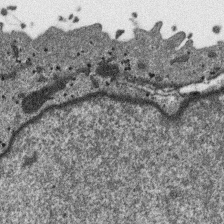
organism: Human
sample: Lung epithelial cells infected with SARS-CoV-2